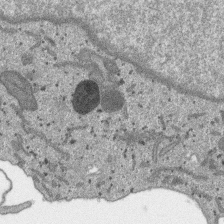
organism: Human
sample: Lung epithelial cells infected with SARS-CoV-2